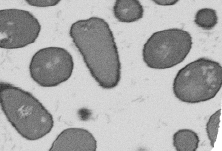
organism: B. subtilis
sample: Bacterial spore